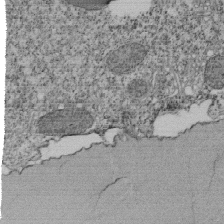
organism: Tetrahymena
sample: Cilia in tetrahymena